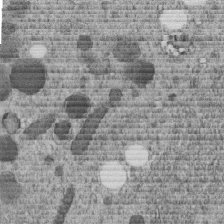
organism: C. elegans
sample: C. elegans embryo early stage